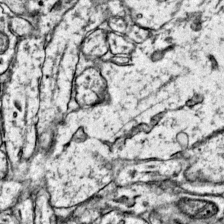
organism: Mouse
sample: Primary visual cortex